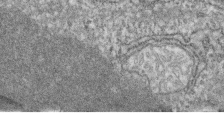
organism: Zebrafish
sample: Cilia; retinal pigment epithelium